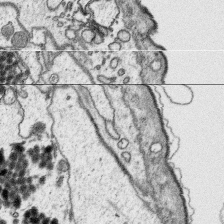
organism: Platynereis dumerilii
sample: Parapodia